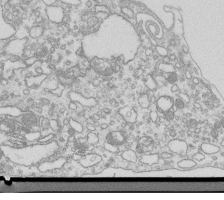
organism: Mouse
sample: Macrophages